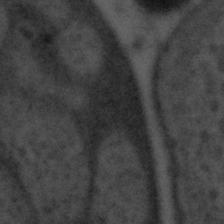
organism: Tuwongella immobilis